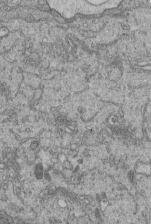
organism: Human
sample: Retinal organoid Rod and Cone cells